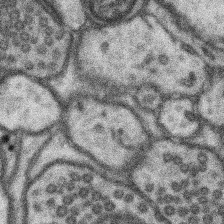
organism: Mouse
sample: Somatosensory cortex neuropil